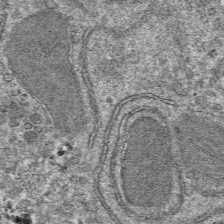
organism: Mouse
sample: Mouse hepatocytes